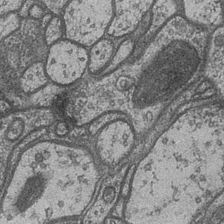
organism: Drosophila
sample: Optic medulla